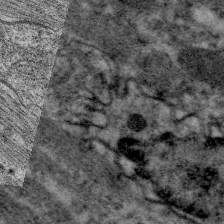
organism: C. elegans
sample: Pharynx